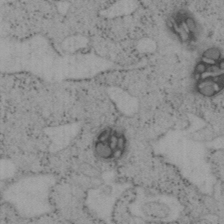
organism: Mouse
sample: OT-I killer T cells with ID8 ovarian cancer cells